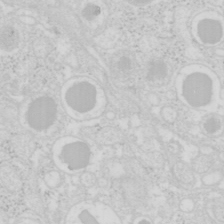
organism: Mouse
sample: Pancreas